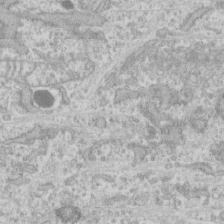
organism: Human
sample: CRL-1474